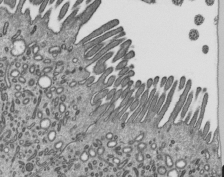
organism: Mouse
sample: Mouse epididymis efferent ductule cilia